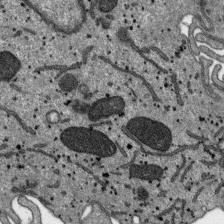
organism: Human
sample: Lung epithelial cells, uninfected (mock) control